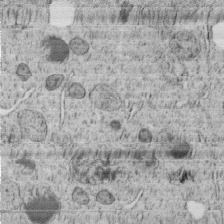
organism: C. elegans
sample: C. elegans embryo early stage